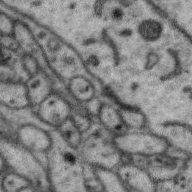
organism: Zebra finch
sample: Brain